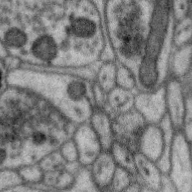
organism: Zebra finch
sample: Brain